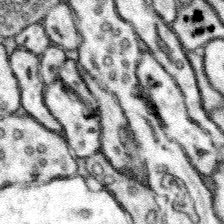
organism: Mouse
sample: Somatosensory cortex neuropil